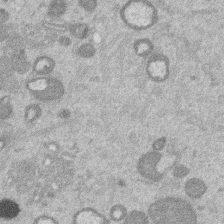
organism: Mouse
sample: Dividing mouse embryo 1 cell stage